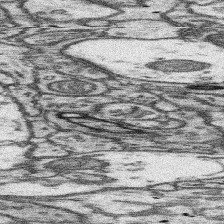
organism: Mouse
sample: Somatosensory cortex neuropil